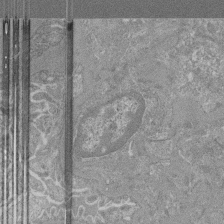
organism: Mouse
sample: Glomerulus